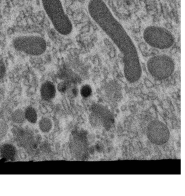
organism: C. elegans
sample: C. elegans oocyte; sperm cells